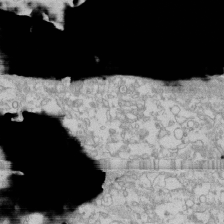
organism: Human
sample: CRL-1474